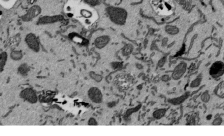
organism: Mouse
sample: ED-1 cell nuclei; centrioles